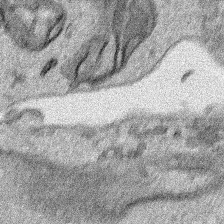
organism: Human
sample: Mitochondria in HCT116 cells